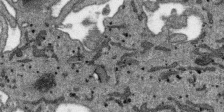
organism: Human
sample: Lung epithelial cells, uninfected (mock) control